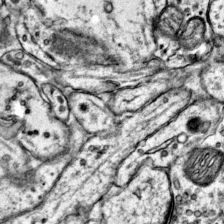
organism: Mouse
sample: Primary visual cortex